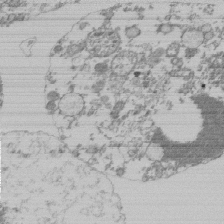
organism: Mouse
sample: Activated Pmel transgenic CD8+ T Cells